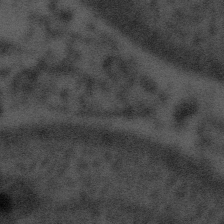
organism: Tuwongella immobilis